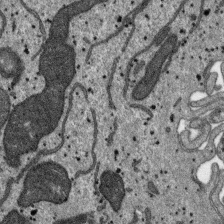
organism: Human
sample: Lung epithelial cells, uninfected (mock) control